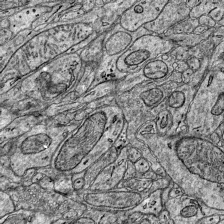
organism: Mouse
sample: Visual Cortex